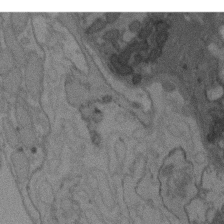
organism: C. elegans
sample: AFD neurons C. elegans